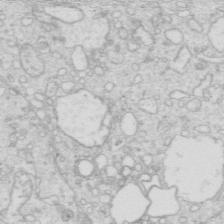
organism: Mouse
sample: Multiciliated cells